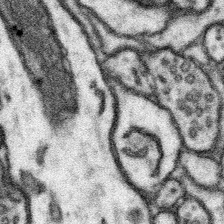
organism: Mouse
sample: Somatosensory cortex neuropil